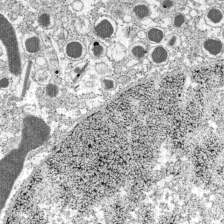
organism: C57BL Mouse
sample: Pancreatic islet